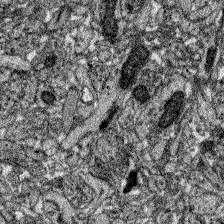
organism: Zebrafish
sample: Larval olfactory bulb